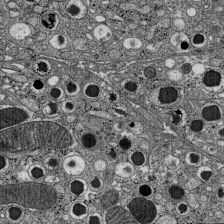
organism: C57BL Mouse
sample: Pancreatic islet